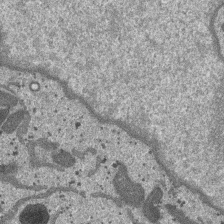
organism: Human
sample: Lung epithelial cells infected with SARS-CoV-2